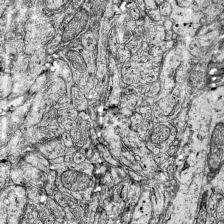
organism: Mouse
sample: Visual Cortex